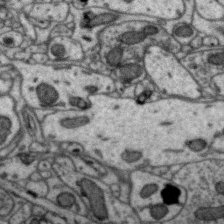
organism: Zebra finch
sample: Brain